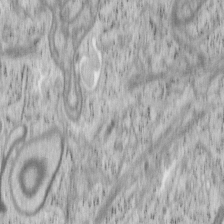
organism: Human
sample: HeLa cells